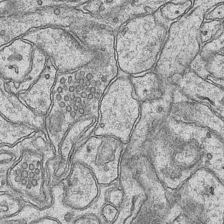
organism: Mouse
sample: CA1 Hippocampus